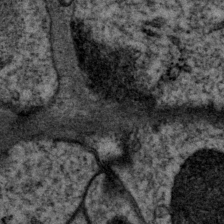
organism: P. pacificus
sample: Pharynx